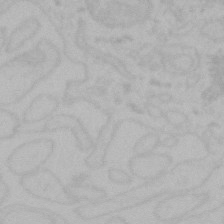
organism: Mouse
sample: Choroid plexus